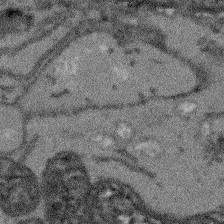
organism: Arabidopsis thaliana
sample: Root tip